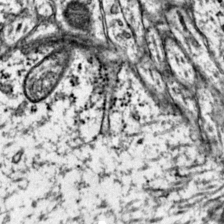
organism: Mouse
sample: Primary visual cortex